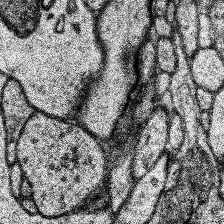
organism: Human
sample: Temporal Lobe